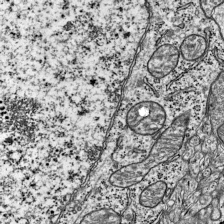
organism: Mouse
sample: Visual Cortex